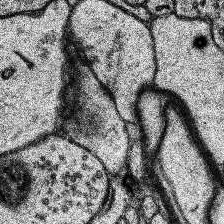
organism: Human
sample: Temporal Lobe